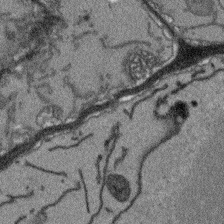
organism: Arabidopsis thaliana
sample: Root tip